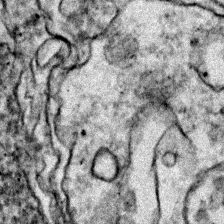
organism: Zebrafish